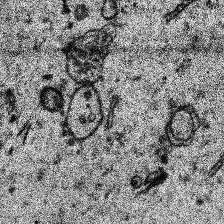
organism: Human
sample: Temporal Lobe